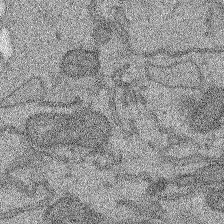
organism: Human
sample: HeLa cells